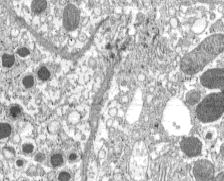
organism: C57BL Mouse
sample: Pancreatic islet